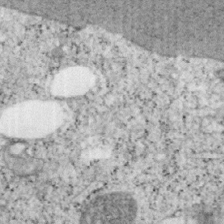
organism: Mouse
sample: OT-I killer T cells with ID8 ovarian cancer cells